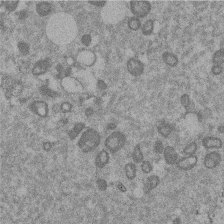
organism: Mouse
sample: Dividing mouse embryo 1 cell stage